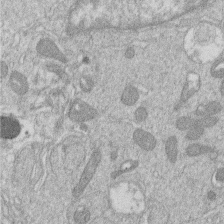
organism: Human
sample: Macrophage cells